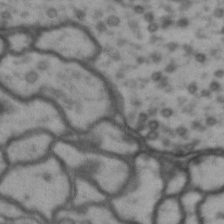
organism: Drosophila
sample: Brain